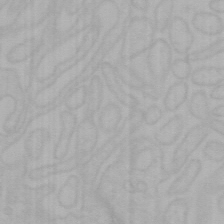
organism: Mouse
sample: Choroid plexus